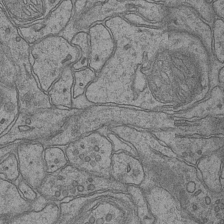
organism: Mouse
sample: CA1 Hippocampus